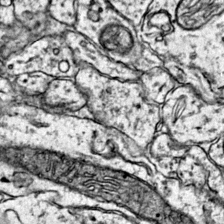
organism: Mouse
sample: Primary visual cortex